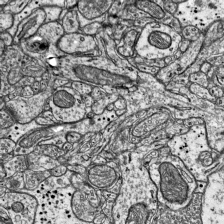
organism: Mouse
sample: Visual Cortex